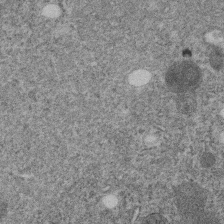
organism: C. elegans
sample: C. elegans embryo early stage